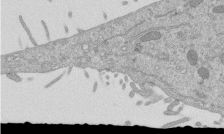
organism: Mouse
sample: ED-1 cell nuclei; centrioles